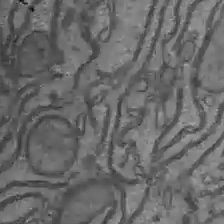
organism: C57BL Mouse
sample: Liver